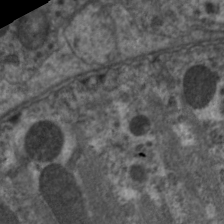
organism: C. elegans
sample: Pharynx